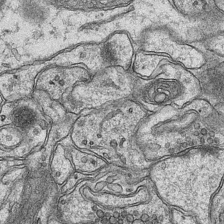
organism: Mouse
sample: CA1 Hippocampus